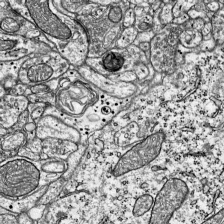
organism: Mouse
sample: Visual Cortex